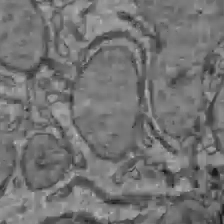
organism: C57BL Mouse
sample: Liver